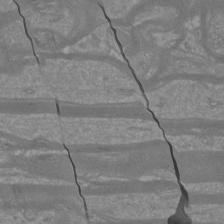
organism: Mouse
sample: Cortical neurons